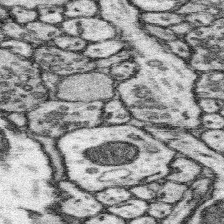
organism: Mouse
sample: Somatosensory cortex neuropil